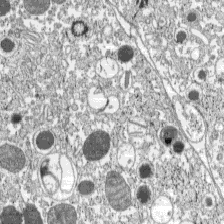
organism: C57BL Mouse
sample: Pancreatic islet